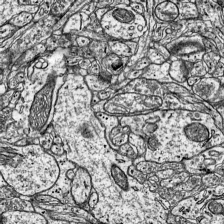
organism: Mouse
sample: Visual Cortex